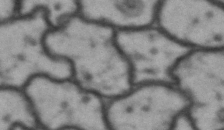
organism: Drosophila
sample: Brain